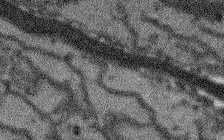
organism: Arabidopsis thaliana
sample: Root tip